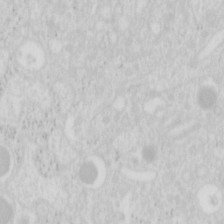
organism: Mouse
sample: Pancreas